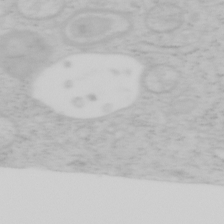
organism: Mouse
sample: OT-I killer T cells with ID8 ovarian cancer cells